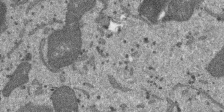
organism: Human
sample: Lung epithelial cells infected with SARS-CoV-2